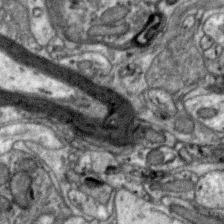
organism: Zebra finch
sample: Brain